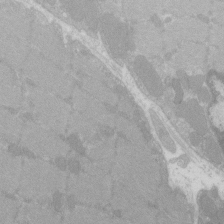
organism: C57BL Mouse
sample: Tibialis anterior muscle cell